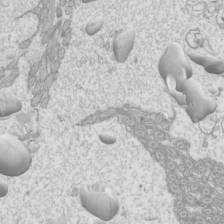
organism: Mouse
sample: Cilia; mouse epididymis